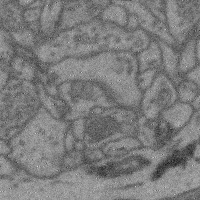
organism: Mouse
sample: Cerebral cortex